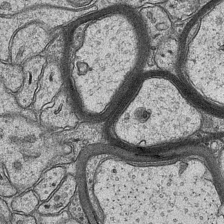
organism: Mouse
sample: CA1 Hippocampus